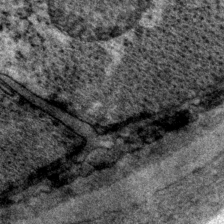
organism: P. pacificus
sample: Pharynx